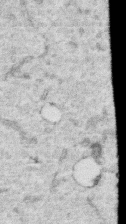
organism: Human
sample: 1205lu cells